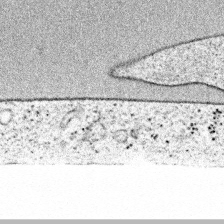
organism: Human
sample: HeLa cells